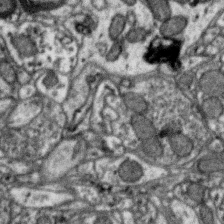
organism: Zebra finch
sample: Brain